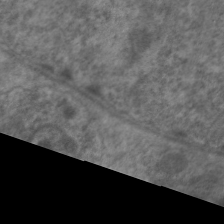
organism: C. elegans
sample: Pharynx